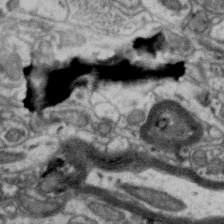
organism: Zebra finch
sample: Brain